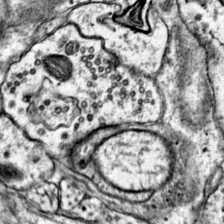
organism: Mouse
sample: Primary visual cortex